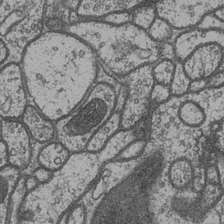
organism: Drosophila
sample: Optic medulla